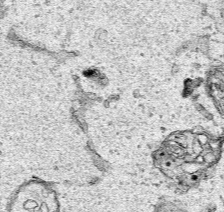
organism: Human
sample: Mitochondria in HCT116 cells